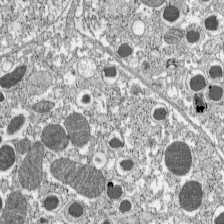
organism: C57BL Mouse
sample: Pancreatic islet